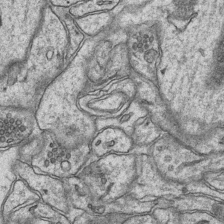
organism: Mouse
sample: CA1 Hippocampus